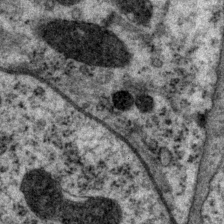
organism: P. pacificus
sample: Pharynx